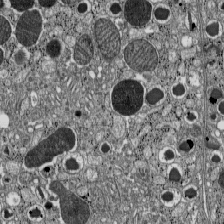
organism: C57BL Mouse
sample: Pancreatic islet